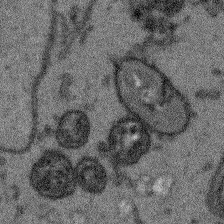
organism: Arabidopsis thaliana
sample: Root tip